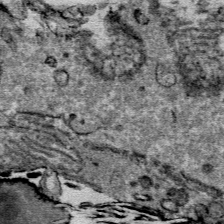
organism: Mouse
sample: Mouse Salivary gland